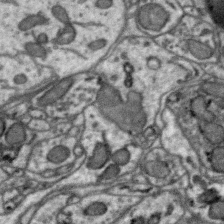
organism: Zebra finch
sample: Brain